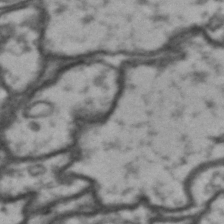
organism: Drosophila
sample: Brain